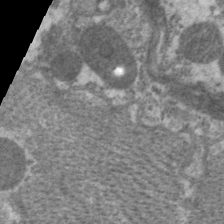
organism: C. elegans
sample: Pharynx